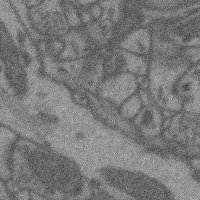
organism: Mouse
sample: Cerebral cortex